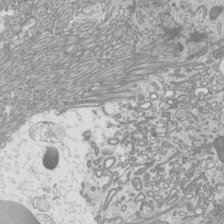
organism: Mouse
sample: Cilia; mouse epididymis